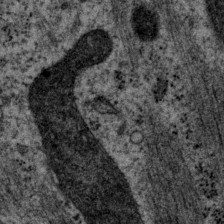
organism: P. pacificus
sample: Pharynx